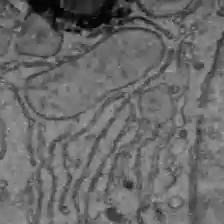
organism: C57BL Mouse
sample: Liver